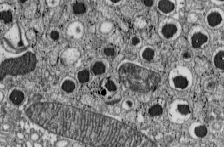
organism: C57BL Mouse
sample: Pancreatic islet